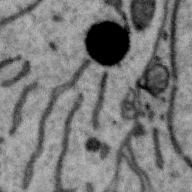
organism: Zebra finch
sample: Brain